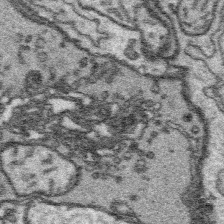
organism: Platynereis dumerilii